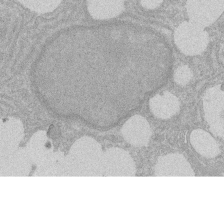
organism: Rat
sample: Salivary granule